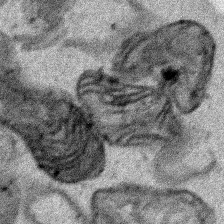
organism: Human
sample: Mitochondria in HCT116 cells